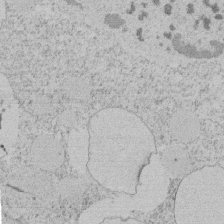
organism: Tetrahymena